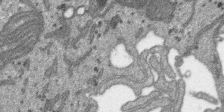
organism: Human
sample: Lung epithelial cells infected with SARS-CoV-2